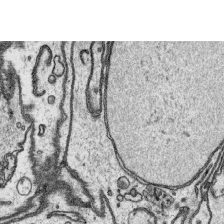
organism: Platynereis dumerilii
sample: Parapodia